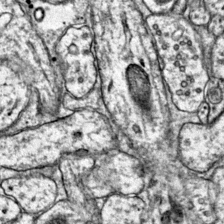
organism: Mouse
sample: Primary visual cortex